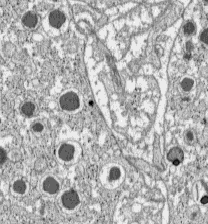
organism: C57BL Mouse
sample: Pancreatic islet